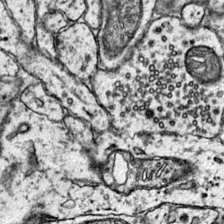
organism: Mouse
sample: Primary visual cortex